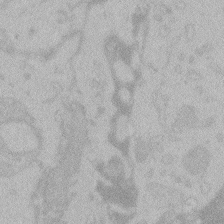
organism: Zebrafish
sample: Macrophage infected with Toxoplasma gondii